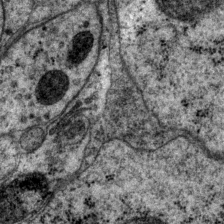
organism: P. pacificus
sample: Pharynx